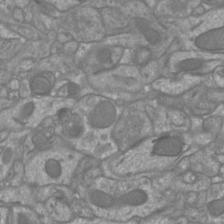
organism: Mouse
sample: Cortical neurons